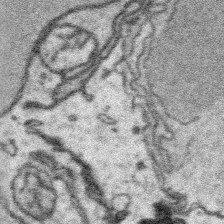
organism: Platynereis dumerilii